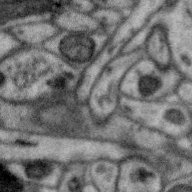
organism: Zebra finch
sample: Brain